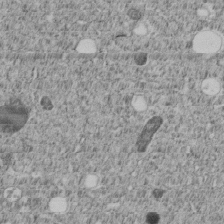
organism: C. elegans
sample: C. elegans embryo early stage